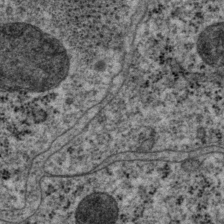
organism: P. pacificus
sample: Pharynx